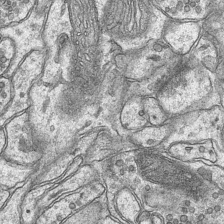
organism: Mouse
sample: CA1 Hippocampus